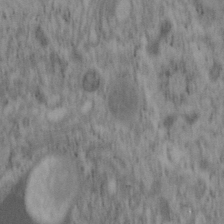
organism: Mouse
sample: OT-I killer T cells with ID8 ovarian cancer cells